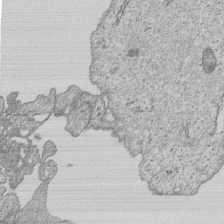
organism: Human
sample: MDA-MB-231 cells